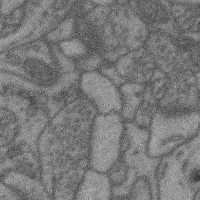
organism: Mouse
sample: Cerebral cortex